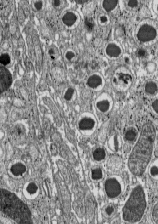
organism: C57BL Mouse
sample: Pancreatic islet